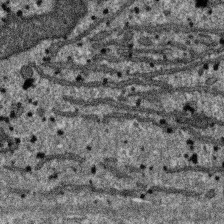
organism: Human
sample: Lung epithelial cells infected with SARS-CoV-2